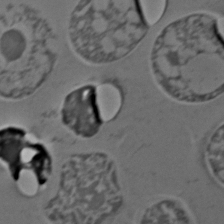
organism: C. elegans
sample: C. elegans embryo